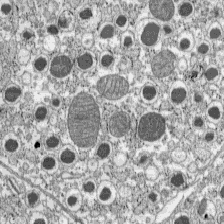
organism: C57BL Mouse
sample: Pancreatic islet